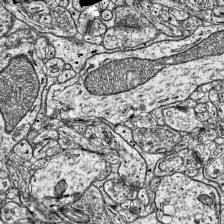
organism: Mouse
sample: Visual Cortex